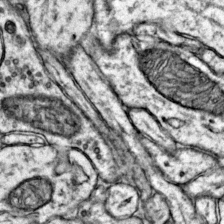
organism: Mouse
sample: Primary visual cortex